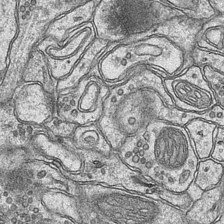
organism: Mouse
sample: CA1 Hippocampus